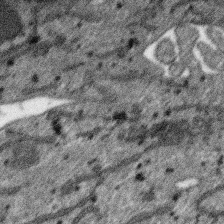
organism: Human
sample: Lung epithelial cells infected with SARS-CoV-2